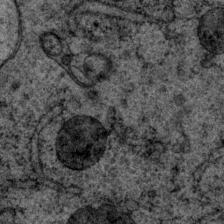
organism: P. pacificus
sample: Pharynx